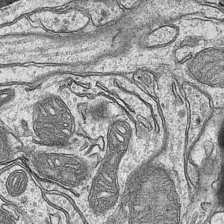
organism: Mouse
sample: CA1 Hippocampus